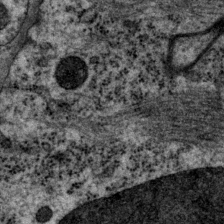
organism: P. pacificus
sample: Pharynx